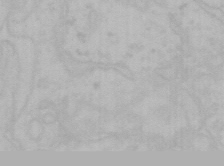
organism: Mouse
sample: Choroid plexus